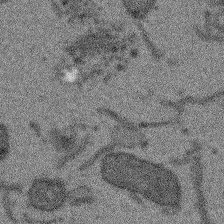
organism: Arabidopsis thaliana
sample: Root tip